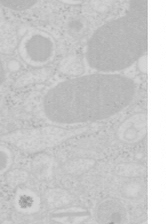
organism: Mouse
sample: Pancreas